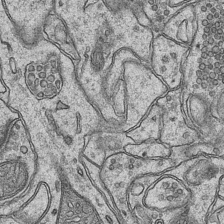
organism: Mouse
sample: CA1 Hippocampus